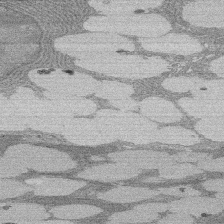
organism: Rat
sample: Salivary granule